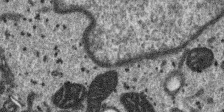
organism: Human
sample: Lung epithelial cells infected with SARS-CoV-2